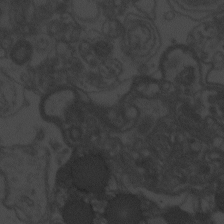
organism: Zebrafish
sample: Macrophage infected with Toxoplasma gondii